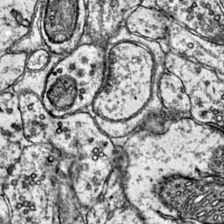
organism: Mouse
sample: Primary visual cortex